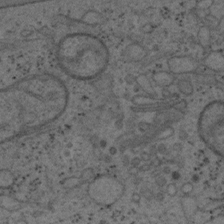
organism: Human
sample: HeLa cells